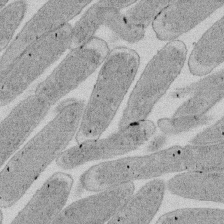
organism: E. coli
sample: Bacterial nucleoid